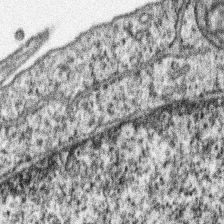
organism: Human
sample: HeLa cells